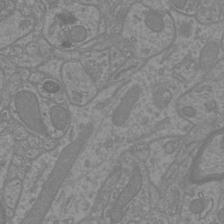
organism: Mouse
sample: Cortical neurons